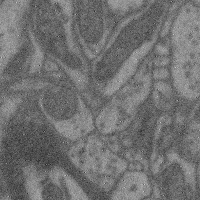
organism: Mouse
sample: Cerebral cortex